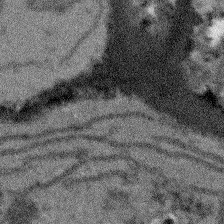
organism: Arabidopsis thaliana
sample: Root tip